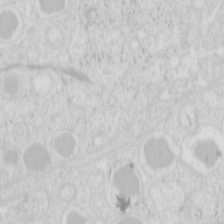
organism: Mouse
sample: Pancreas